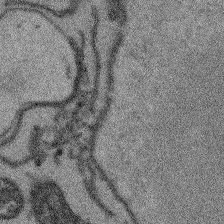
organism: Arabidopsis thaliana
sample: Root tip